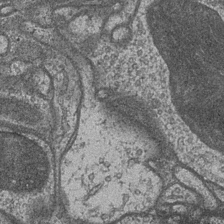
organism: Drosophila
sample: Optic medulla